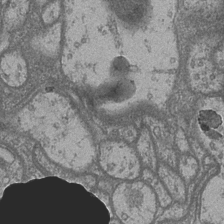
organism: Drosophila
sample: Optic medulla